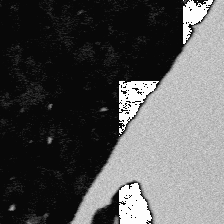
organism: Platynereis dumerilii